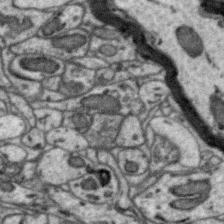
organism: Zebra finch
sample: Brain